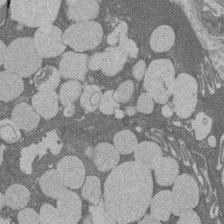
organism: Rat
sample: Salivary granule